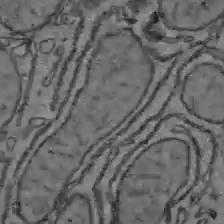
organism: C57BL Mouse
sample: Liver